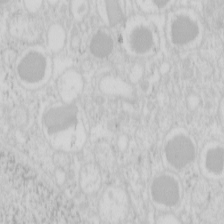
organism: Mouse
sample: Pancreas